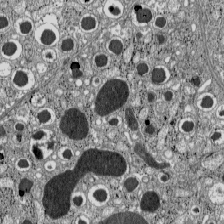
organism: C57BL Mouse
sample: Pancreatic islet